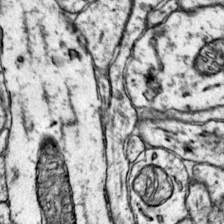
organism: Mouse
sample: Primary visual cortex